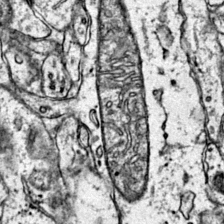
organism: Mouse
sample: Primary visual cortex